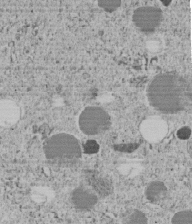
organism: C. elegans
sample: C. elegans embryo early stage